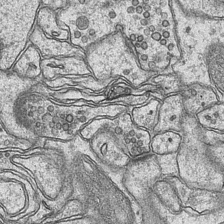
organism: Mouse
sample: CA1 Hippocampus